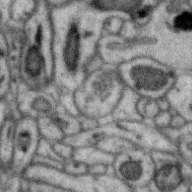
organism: Zebra finch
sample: Brain